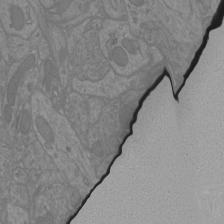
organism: Mouse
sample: Cortical neurons